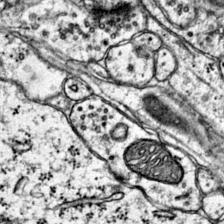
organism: Mouse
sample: Primary visual cortex